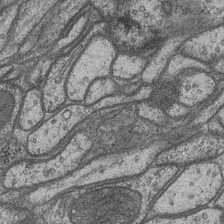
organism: Drosophila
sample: Optic medulla